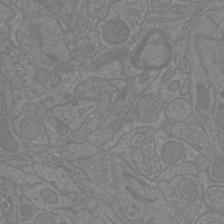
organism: Mouse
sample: Cortical neurons